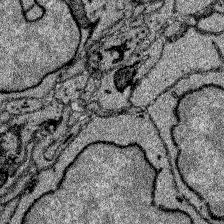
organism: Zebrafish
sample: Larval olfactory bulb